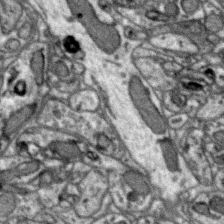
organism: Zebra finch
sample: Brain